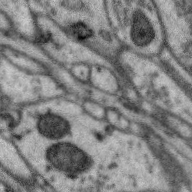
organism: Zebra finch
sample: Brain